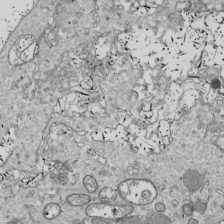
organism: Drosophila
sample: Cell division; meiosis; drosophila spermatocytes